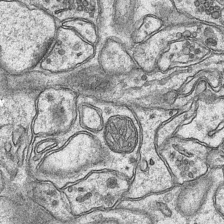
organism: Mouse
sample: CA1 Hippocampus